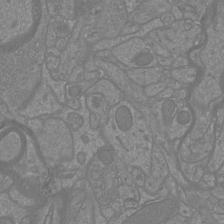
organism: Mouse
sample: Cortical neurons